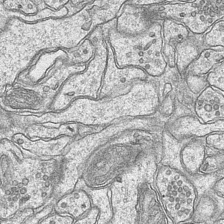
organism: Mouse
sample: CA1 Hippocampus